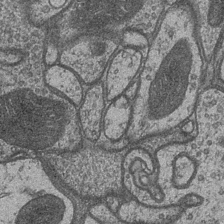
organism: Drosophila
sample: Optic medulla